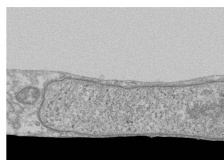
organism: Human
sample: Fibroblast cells